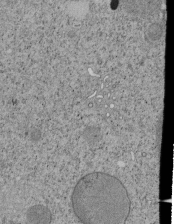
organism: Tetrahymena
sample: Cilia in tetrahymena